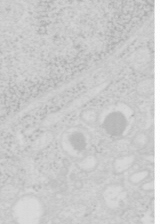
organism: Mouse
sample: Pancreas